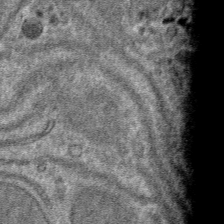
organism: Mouse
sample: Mouse hepatocytes